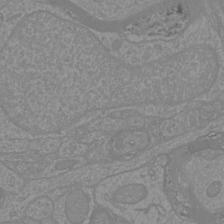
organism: Mouse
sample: Cortical neurons